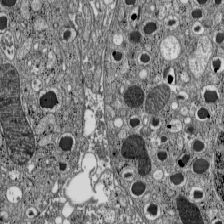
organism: C57BL Mouse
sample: Pancreatic islet